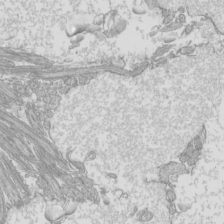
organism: Mouse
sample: Cilia; mouse epididymis